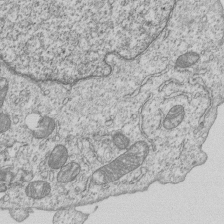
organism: Human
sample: MDA-MB-231 cells